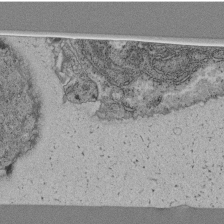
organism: C. elegans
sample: C. elegans pharynx